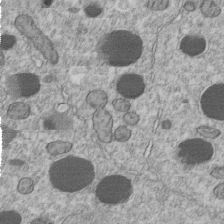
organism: C. elegans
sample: C. elegans embryo early stage